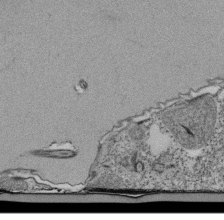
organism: Tetrahymena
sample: Cilia in tetrahymena